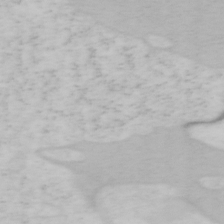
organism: Mouse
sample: OT-I killer T cells with ID8 ovarian cancer cells